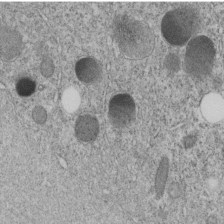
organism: C. elegans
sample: C. elegans embryo early stage